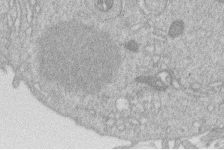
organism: Human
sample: Macrophage cells